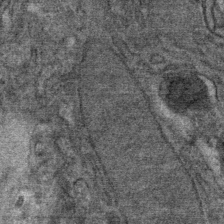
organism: Mouse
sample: Mouse Salivary gland